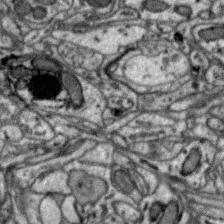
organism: Zebra finch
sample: Brain